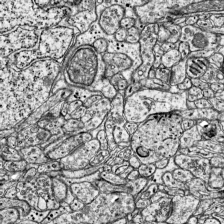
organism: Mouse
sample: Visual Cortex